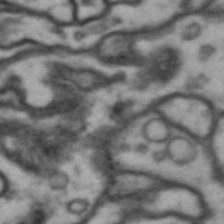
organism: Drosophila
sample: Brain